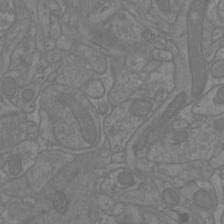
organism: Mouse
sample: Cortical neurons